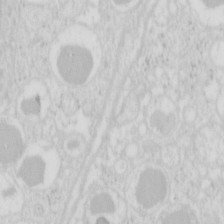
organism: Mouse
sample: Pancreas